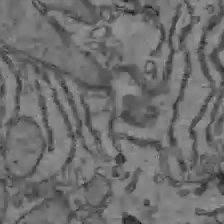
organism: C57BL Mouse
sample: Liver